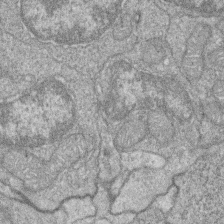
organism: Zebrafish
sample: Cilia; retinal pigment epithelium